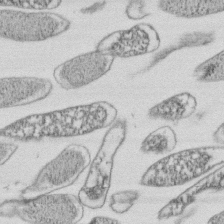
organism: E. coli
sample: Bacterial nucleoid